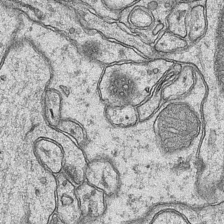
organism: Mouse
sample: CA1 Hippocampus